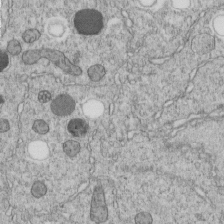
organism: C. elegans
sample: C. elegans embryo early stage